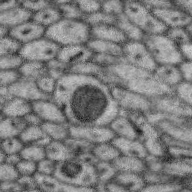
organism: Zebra finch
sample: Brain